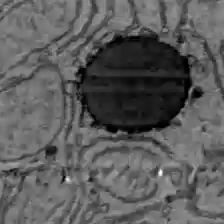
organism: C57BL Mouse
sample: Liver